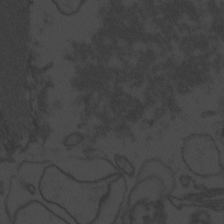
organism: Zebrafish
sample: Macrophage infected with Toxoplasma gondii